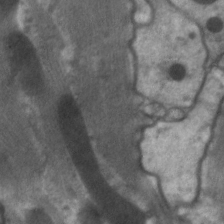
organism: C. elegans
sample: Pharynx